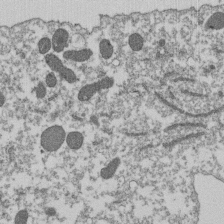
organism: Dictyostelium discoideum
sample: Dictyostelium multivesicular bodies